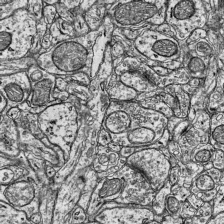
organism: Mouse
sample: Visual Cortex